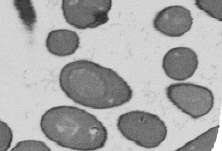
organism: B. subtilis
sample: Bacterial spore